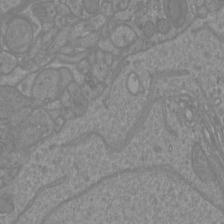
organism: Mouse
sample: Cortical neurons